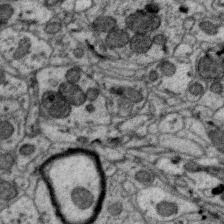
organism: Zebra finch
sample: Brain